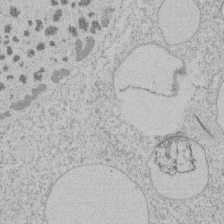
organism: Tetrahymena